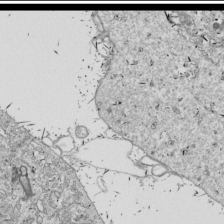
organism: Drosophila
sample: Cell division; meiosis; drosophila spermatocytes